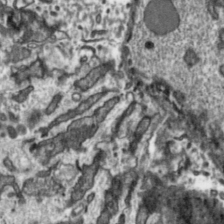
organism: Toxoplasma gondii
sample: Parasites in a vacuole inside a host cell